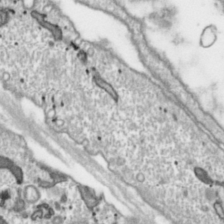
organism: Toxoplasma gondii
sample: Parasites in a vacuole inside a host cell